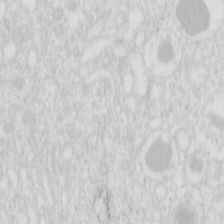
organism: Mouse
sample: Pancreas